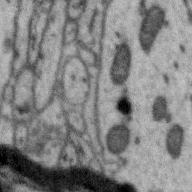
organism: Zebra finch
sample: Brain